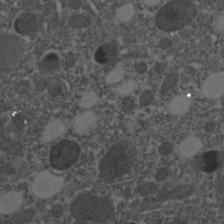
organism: C. elegans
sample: C. elegans embryo